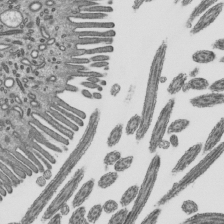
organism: Mouse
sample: Mouse epididymis efferent ductule cilia